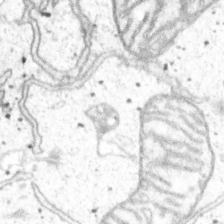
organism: Human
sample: HeLa cells